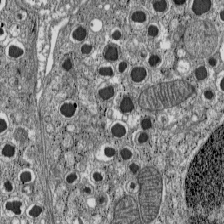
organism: C57BL Mouse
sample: Pancreatic islet